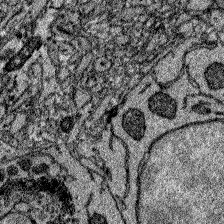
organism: Zebrafish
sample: Larval olfactory bulb